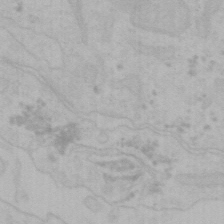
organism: Mouse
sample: Choroid plexus